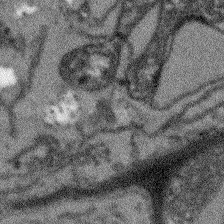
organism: Arabidopsis thaliana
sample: Root tip